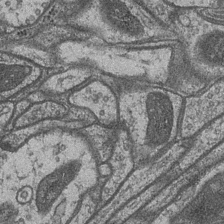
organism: Drosophila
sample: Optic medulla